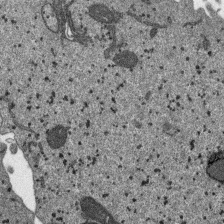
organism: Human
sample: Lung epithelial cells infected with SARS-CoV-2